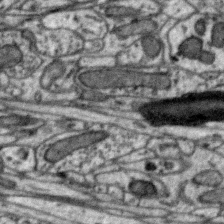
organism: Zebra finch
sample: Brain